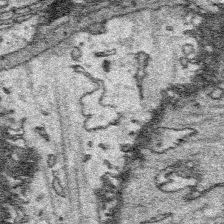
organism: Platynereis dumerilii